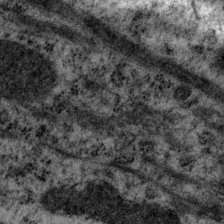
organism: P. pacificus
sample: Pharynx